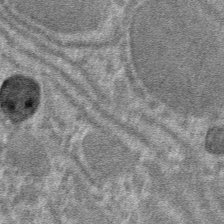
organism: Mouse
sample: Mouse hepatocytes